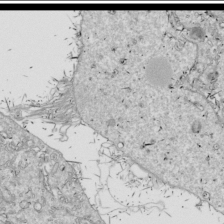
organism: Drosophila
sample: Cell division; meiosis; drosophila spermatocytes